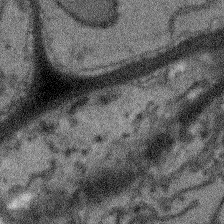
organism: Arabidopsis thaliana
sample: Root tip